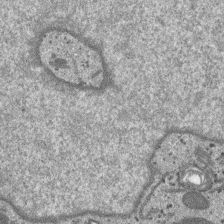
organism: Human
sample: Lung epithelial cells infected with SARS-CoV-2